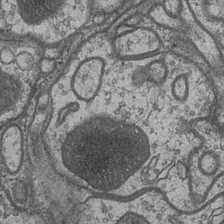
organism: Drosophila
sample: Optic medulla